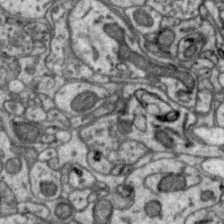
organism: Zebra finch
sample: Brain